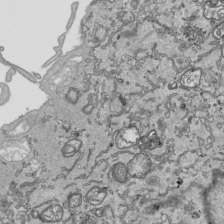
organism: Human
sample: Mitochondria in HCT116 cells